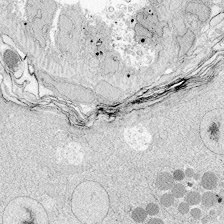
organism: Zebrafish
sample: Whole-Brain